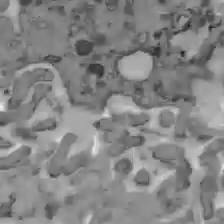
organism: C57BL Mouse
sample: Liver